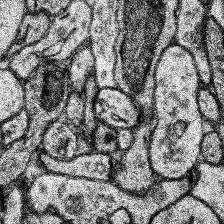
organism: Human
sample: Temporal Lobe